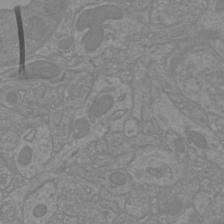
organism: Mouse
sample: Cortical neurons